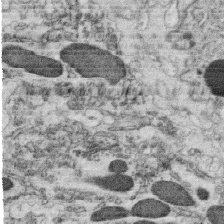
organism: C. elegans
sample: C. elegans oocyte; sperm cells